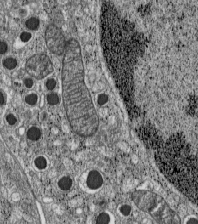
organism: C57BL Mouse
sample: Pancreatic islet